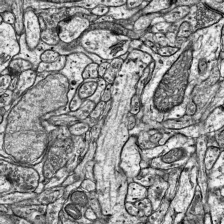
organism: Mouse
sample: Visual Cortex